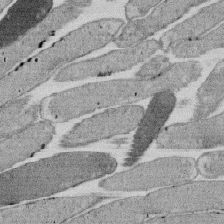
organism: E. coli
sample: Bacterial nucleoid